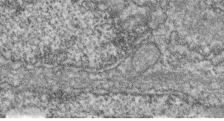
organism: Zebrafish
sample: Cilia; retinal pigment epithelium